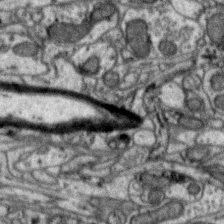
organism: Zebra finch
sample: Brain